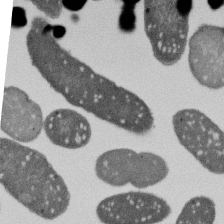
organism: E. coli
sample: Bacterial nucleoid